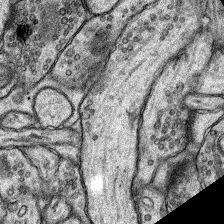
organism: Rat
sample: Hippocampus